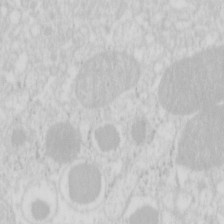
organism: Mouse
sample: Pancreas